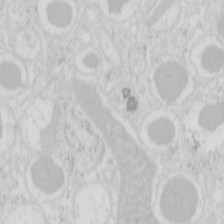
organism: Mouse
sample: Pancreas